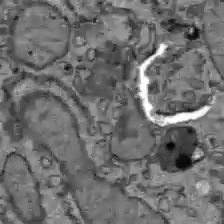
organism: C57BL Mouse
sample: Liver